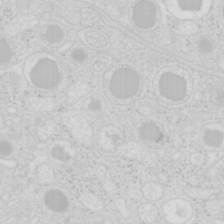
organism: Mouse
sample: Pancreas